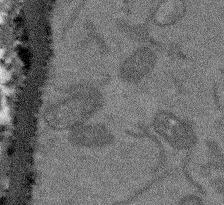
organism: Arabidopsis thaliana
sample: Root tip